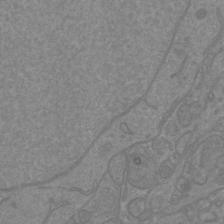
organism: Mouse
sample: Cortical neurons